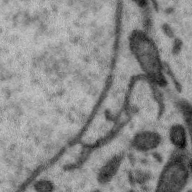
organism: Zebra finch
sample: Brain